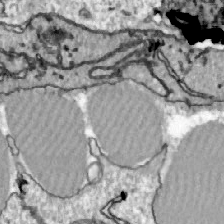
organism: Zebrafish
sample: Actinotrichia fibers